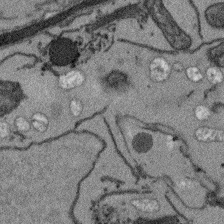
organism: Arabidopsis thaliana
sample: Root tip